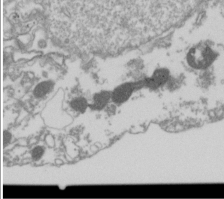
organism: Drosophila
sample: Cell division; meiosis; drosophila spermatocytes